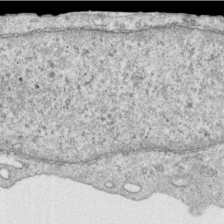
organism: Human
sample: Centriole in RPE cells